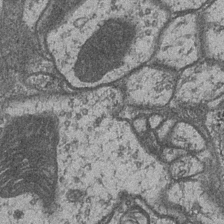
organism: Drosophila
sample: Optic medulla